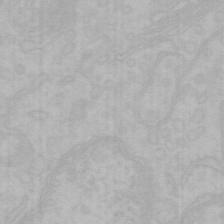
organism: Mouse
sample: Choroid plexus